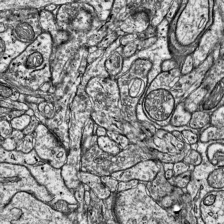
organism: Mouse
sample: Visual Cortex